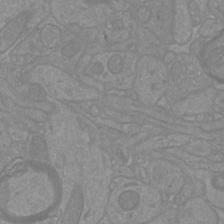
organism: Mouse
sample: Cortical neurons